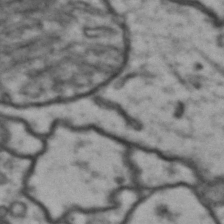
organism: Drosophila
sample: Brain